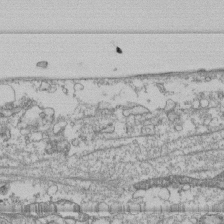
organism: Human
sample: Fibroblast cells